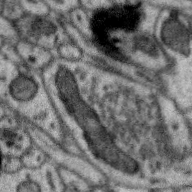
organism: Zebra finch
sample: Brain